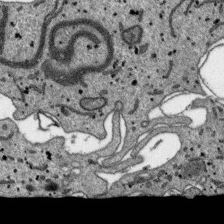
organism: Human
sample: Lung epithelial cells, uninfected (mock) control